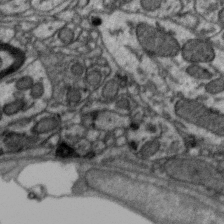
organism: Zebra finch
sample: Brain